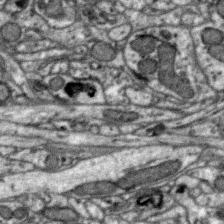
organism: Zebra finch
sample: Brain